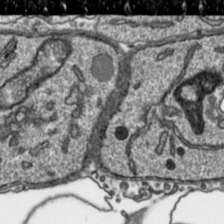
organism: Toxoplasma gondii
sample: Parasites in a vacuole inside a host cell